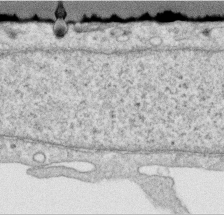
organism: Human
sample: Centriole in RPE cells